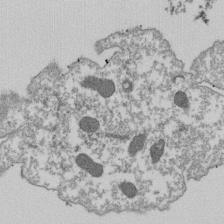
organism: Dictyostelium discoideum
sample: Dictyostelium multivesicular bodies